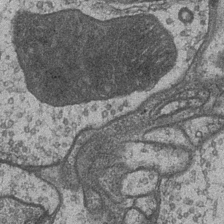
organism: Drosophila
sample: Optic medulla